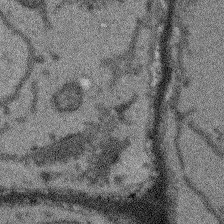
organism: Arabidopsis thaliana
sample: Root tip